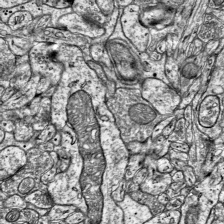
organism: Mouse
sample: Visual Cortex